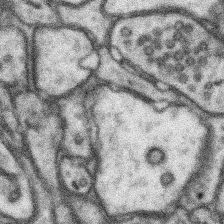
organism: Mouse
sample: Somatosensory cortex neuropil